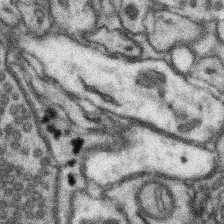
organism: Mouse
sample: Somatosensory cortex neuropil